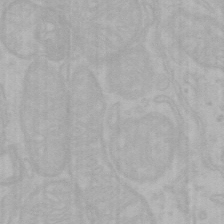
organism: Mouse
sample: Choroid plexus